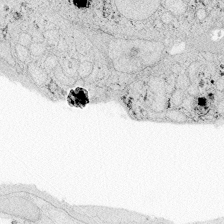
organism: Zebrafish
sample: Whole-Brain